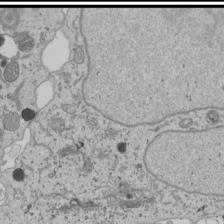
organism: Human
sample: Mitochondria in U2OS cells